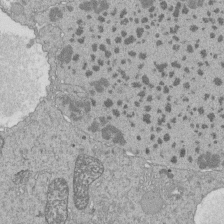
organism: Tetrahymena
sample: Cilia in tetrahymena